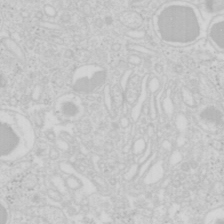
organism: Mouse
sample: Pancreas